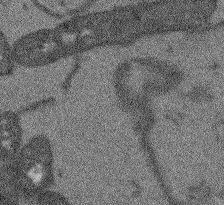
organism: Arabidopsis thaliana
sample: Root tip